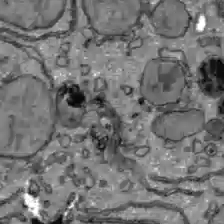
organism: C57BL Mouse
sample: Liver